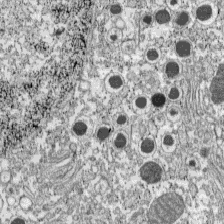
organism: C57BL Mouse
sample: Pancreatic islet